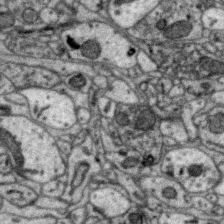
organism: Zebra finch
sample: Brain